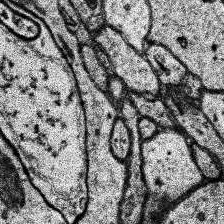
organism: Human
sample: Temporal Lobe